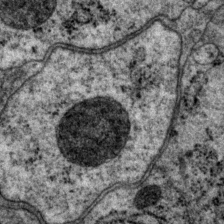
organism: P. pacificus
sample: Pharynx